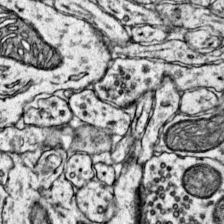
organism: Mouse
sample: Primary visual cortex